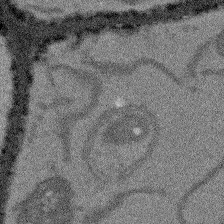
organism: Arabidopsis thaliana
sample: Root tip